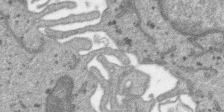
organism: Human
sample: Lung epithelial cells infected with SARS-CoV-2